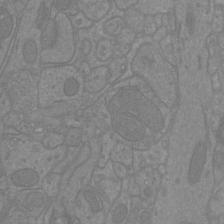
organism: Mouse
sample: Cortical neurons